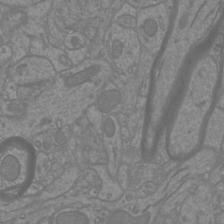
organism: Mouse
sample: Cortical neurons